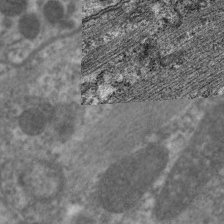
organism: C. elegans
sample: Pharynx